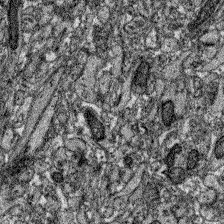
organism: Zebrafish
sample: Larval olfactory bulb